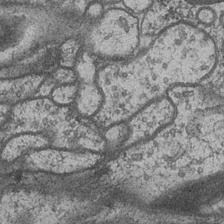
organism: Drosophila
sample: Optic medulla